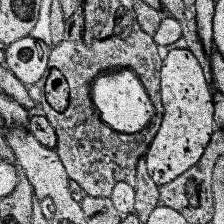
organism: Human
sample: Temporal Lobe